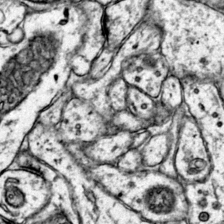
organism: Mouse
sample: Primary visual cortex